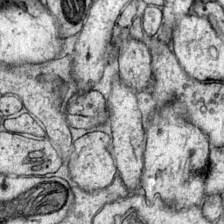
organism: Mouse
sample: Primary visual cortex